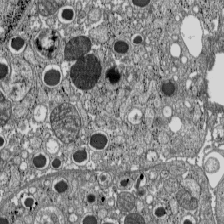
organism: C57BL Mouse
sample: Pancreatic islet